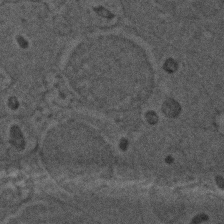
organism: Zebrafish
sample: Zebrafish embryo